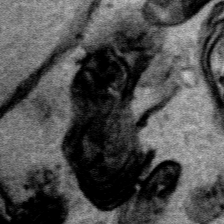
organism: Human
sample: Mitochondria in HCT116 cells